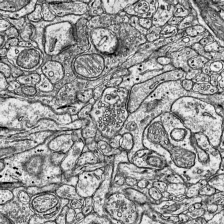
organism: Mouse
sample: Visual Cortex